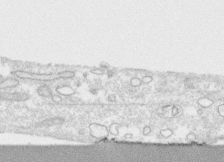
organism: Human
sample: CRL-1474